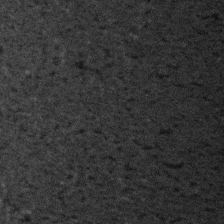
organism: Zebrafish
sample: Zebrafish embryo